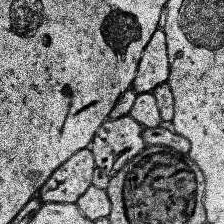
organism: Human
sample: Temporal Lobe